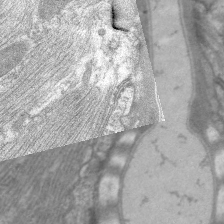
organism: C. elegans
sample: Pharynx